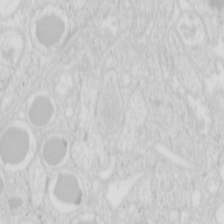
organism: Mouse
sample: Pancreas